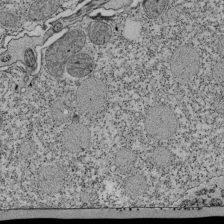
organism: Tetrahymena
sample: Cilia in tetrahymena